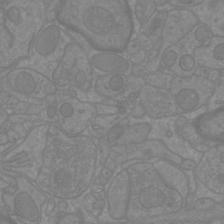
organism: Mouse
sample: Cortical neurons